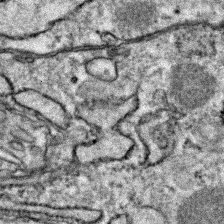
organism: Zebrafish